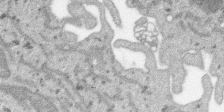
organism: Human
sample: Lung epithelial cells infected with SARS-CoV-2